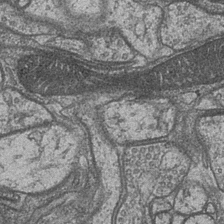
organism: Drosophila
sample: Optic medulla